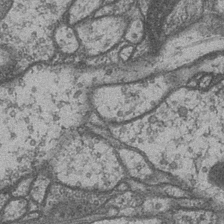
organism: Drosophila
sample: Optic medulla